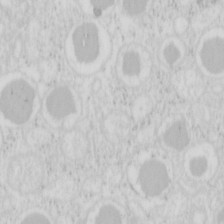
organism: Mouse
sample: Pancreas